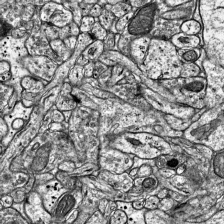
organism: Mouse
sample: Visual Cortex